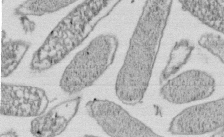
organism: E. coli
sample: Bacterial nucleoid